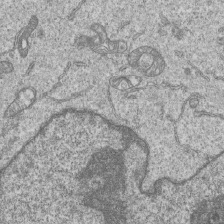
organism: Human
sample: MDA-MB-231 cells